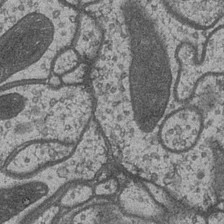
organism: Drosophila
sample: Optic medulla